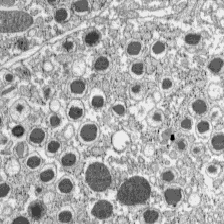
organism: C57BL Mouse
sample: Pancreatic islet